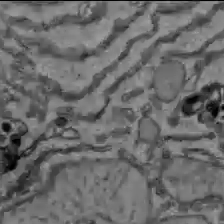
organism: C57BL Mouse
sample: Liver